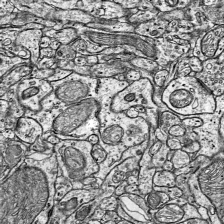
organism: Mouse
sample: Visual Cortex